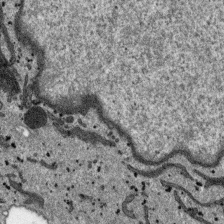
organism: Human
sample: Lung epithelial cells, uninfected (mock) control